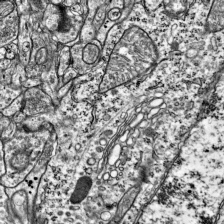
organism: Mouse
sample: Visual Cortex